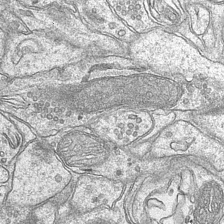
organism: Mouse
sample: CA1 Hippocampus